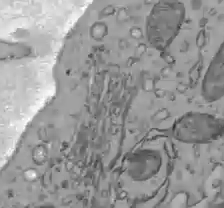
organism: C57BL Mouse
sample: Liver